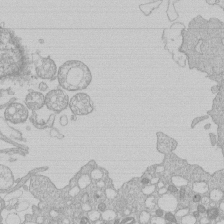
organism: Human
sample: Macrophage cells